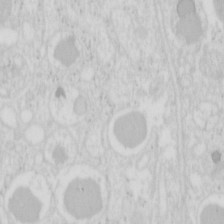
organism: Mouse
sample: Pancreas